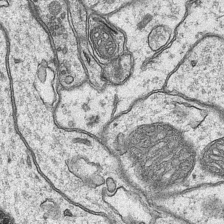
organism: Mouse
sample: CA1 Hippocampus